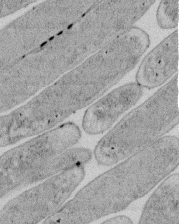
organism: E. coli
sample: Bacterial nucleoid